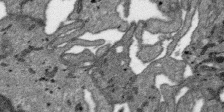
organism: Human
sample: Lung epithelial cells, uninfected (mock) control